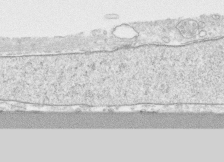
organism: Human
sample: CRL-1474